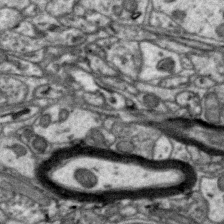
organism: Zebra finch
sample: Brain